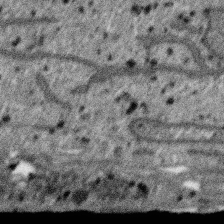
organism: Human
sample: Lung epithelial cells infected with SARS-CoV-2